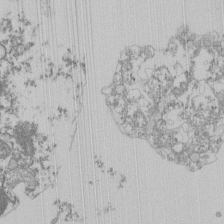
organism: Mouse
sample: Activated Pmel transgenic CD8+ T Cells